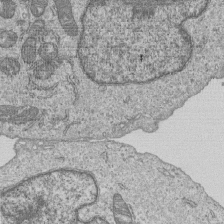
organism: Human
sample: MDA-MB-231 cells